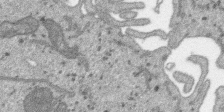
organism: Human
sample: Lung epithelial cells infected with SARS-CoV-2